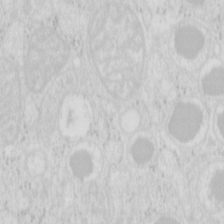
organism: Mouse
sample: Pancreas